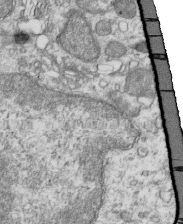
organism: Mouse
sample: Activated OT-1 CD8+ T cells